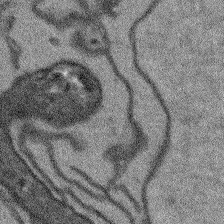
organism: Arabidopsis thaliana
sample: Root tip